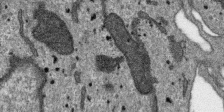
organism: Human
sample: Lung epithelial cells, uninfected (mock) control